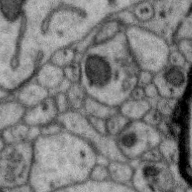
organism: Zebra finch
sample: Brain